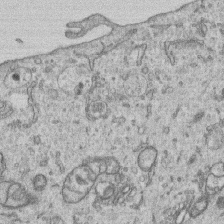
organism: Human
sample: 1205lu cells